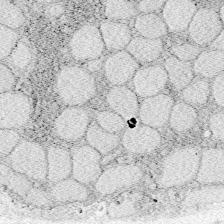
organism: Zebrafish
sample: Whole-Brain